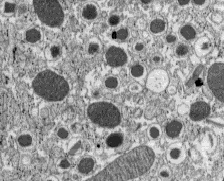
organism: C57BL Mouse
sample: Pancreatic islet